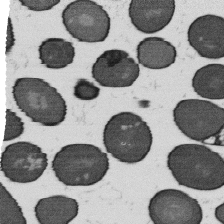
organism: B. subtilis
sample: Bacterial spore